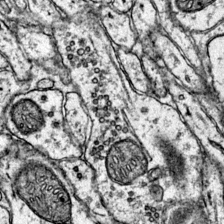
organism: Mouse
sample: Primary visual cortex